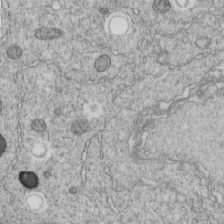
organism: C. elegans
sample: C. elegans embryo early stage